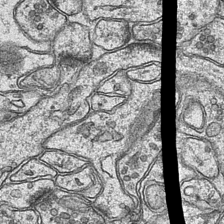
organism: Mouse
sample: CA1 Hippocampus